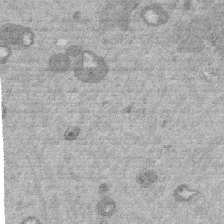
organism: Mouse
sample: Dividing mouse embryo 1 cell stage